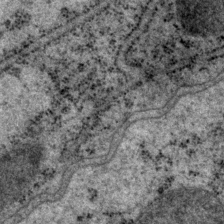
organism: P. pacificus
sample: Pharynx